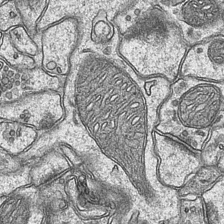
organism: Mouse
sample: CA1 Hippocampus